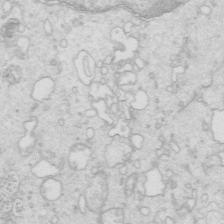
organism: Mouse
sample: Multiciliated cells